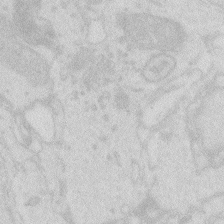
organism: Zebrafish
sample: Macrophage